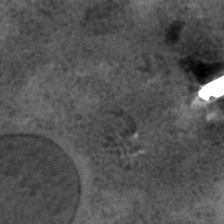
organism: C. elegans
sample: C. elegans embryo